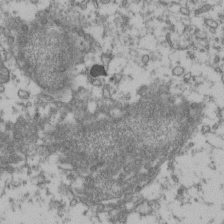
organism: Human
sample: Activated Jurkat CD4+ T cells